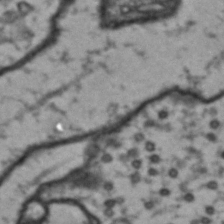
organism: Drosophila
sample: Brain